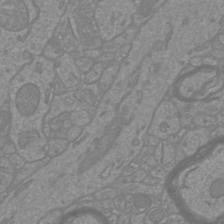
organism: Mouse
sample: Cortical neurons